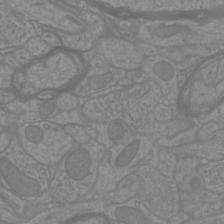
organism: Mouse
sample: Cortical neurons